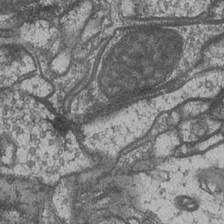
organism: Drosophila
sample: Optic medulla